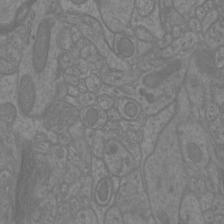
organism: Mouse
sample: Cortical neurons